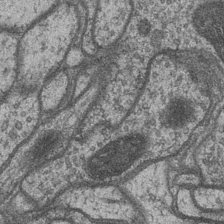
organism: Drosophila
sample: Optic medulla